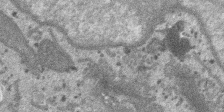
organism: Human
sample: Lung epithelial cells infected with SARS-CoV-2